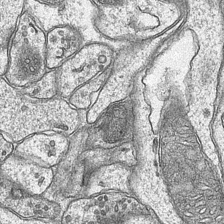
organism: Mouse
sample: CA1 Hippocampus